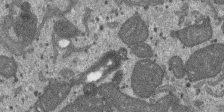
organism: Human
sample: Lung epithelial cells infected with SARS-CoV-2